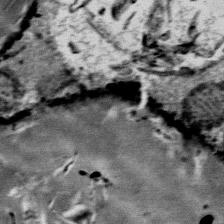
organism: Mouse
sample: Mouse Salivary gland